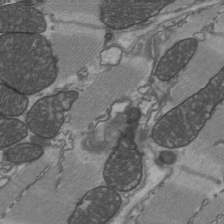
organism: C57BL Mouse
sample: Heart